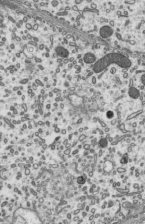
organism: Mouse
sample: Mouse epididymis efferent ductule cilia